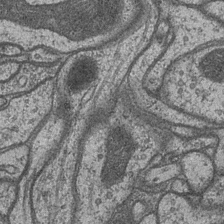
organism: Drosophila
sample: Optic medulla